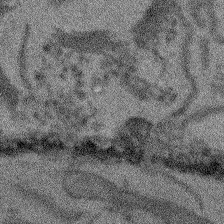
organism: Arabidopsis thaliana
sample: Root tip